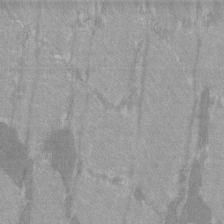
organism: C57BL Mouse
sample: Tibialis anterior muscle cell